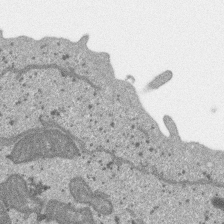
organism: Human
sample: Lung epithelial cells infected with SARS-CoV-2